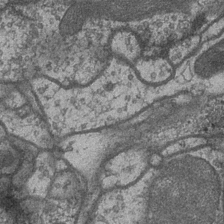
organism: Drosophila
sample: Optic medulla